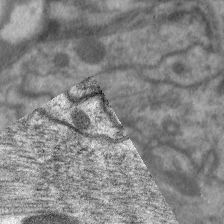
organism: C. elegans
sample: Pharynx